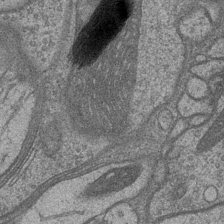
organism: Drosophila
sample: Optic medulla